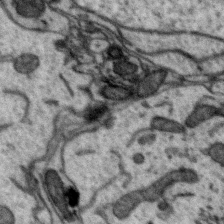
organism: Zebra finch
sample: Brain